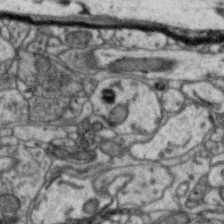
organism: Zebra finch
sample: Brain